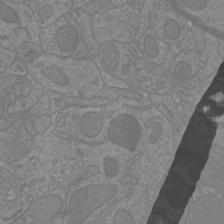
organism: Mouse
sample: Cortical neurons